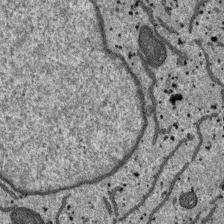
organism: Human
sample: Lung epithelial cells, uninfected (mock) control